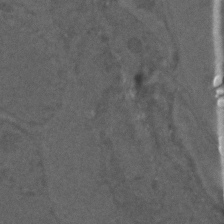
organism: C. elegans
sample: C. elegans embryo